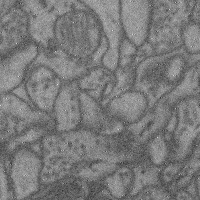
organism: Mouse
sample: Cerebral cortex